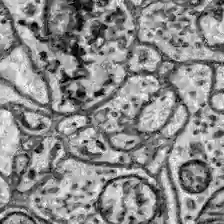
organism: Zebrafish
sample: Brain